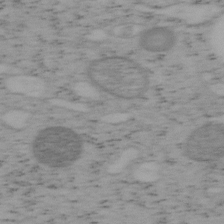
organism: Mouse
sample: OT-I killer T cells with ID8 ovarian cancer cells